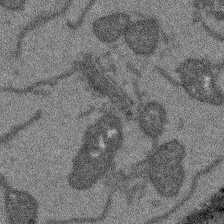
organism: Arabidopsis thaliana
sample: Root tip